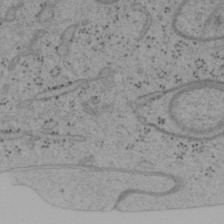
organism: Human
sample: HeLa cells